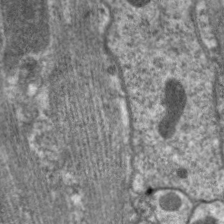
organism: C. elegans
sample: Pharynx